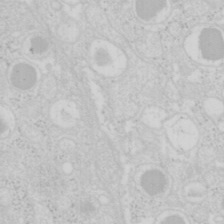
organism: Mouse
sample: Pancreas